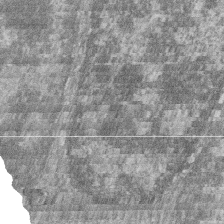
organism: Zebrafish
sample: Cilia; retinal pigment epithelium